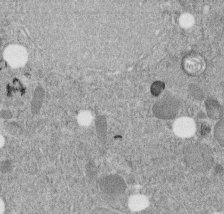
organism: C. elegans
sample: C. elegans embryo early stage